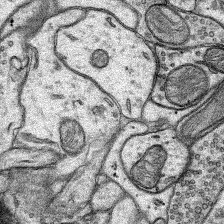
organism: Rat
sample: Hippocampus